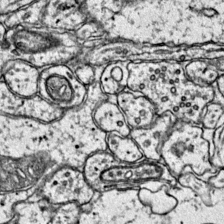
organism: Mouse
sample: Primary visual cortex